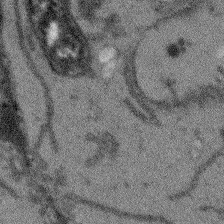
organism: Arabidopsis thaliana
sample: Root tip